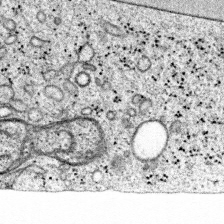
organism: Human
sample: HeLa cells